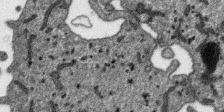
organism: Human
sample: Lung epithelial cells infected with SARS-CoV-2